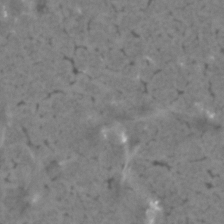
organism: Human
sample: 1205lu cells